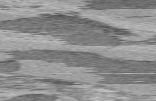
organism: C57BL Mouse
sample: Heart